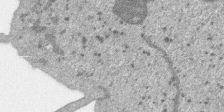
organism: Human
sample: Lung epithelial cells infected with SARS-CoV-2